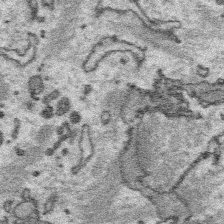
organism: Platynereis dumerilii